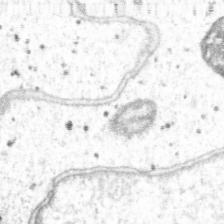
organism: Human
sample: HeLa cells